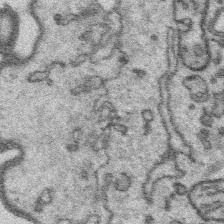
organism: Platynereis dumerilii